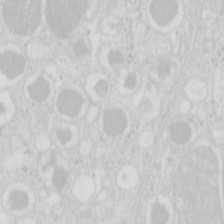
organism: Mouse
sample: Pancreas